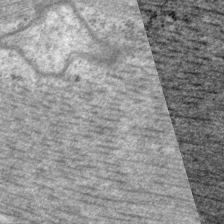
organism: P. pacificus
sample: Pharynx